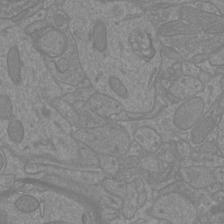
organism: Mouse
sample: Cortical neurons